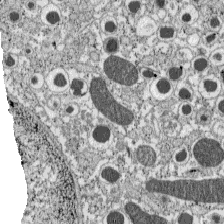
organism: C57BL Mouse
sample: Pancreatic islet